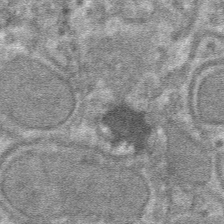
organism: Mouse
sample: Mouse hepatocytes